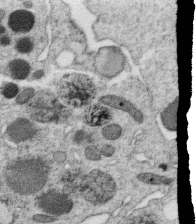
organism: C. elegans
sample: C. elegans oocyte; sperm cells